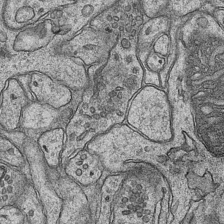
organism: Mouse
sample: CA1 Hippocampus